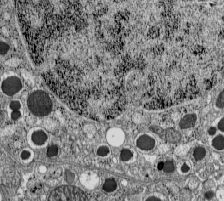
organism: C57BL Mouse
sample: Pancreatic islet